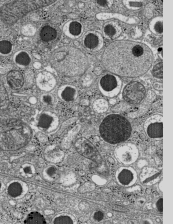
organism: C57BL Mouse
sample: Pancreatic islet